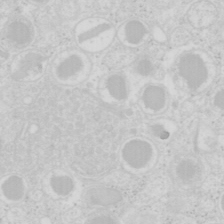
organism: Mouse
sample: Pancreas